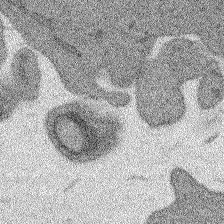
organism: Human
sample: HeLa cells